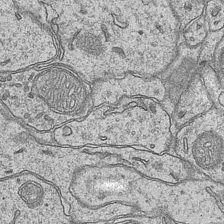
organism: Mouse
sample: CA1 Hippocampus